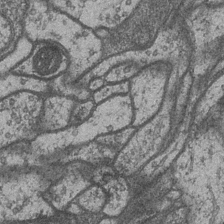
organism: Drosophila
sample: Optic medulla